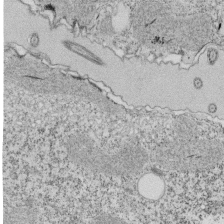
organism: Tetrahymena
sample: Cilia in tetrahymena